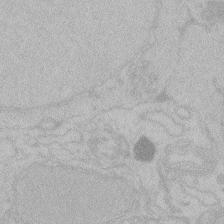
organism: Zebrafish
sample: Macrophage infected with Toxoplasma gondii